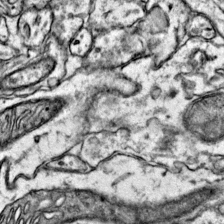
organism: Mouse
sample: Primary visual cortex